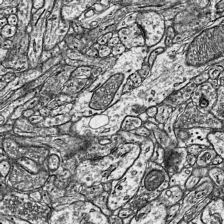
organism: Mouse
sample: Visual Cortex